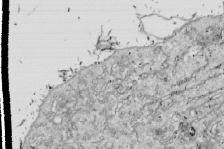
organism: Drosophila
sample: Cell division; meiosis; drosophila spermatocytes